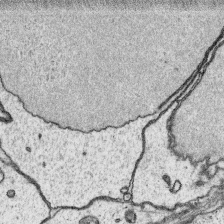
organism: Platynereis dumerilii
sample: Parapodia